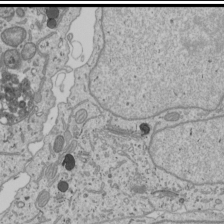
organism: Human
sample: Mitochondria in U2OS cells